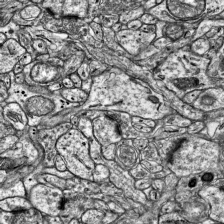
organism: Mouse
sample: Visual Cortex